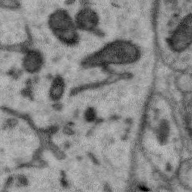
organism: Zebra finch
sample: Brain